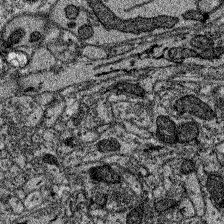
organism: Zebrafish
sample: Larval olfactory bulb